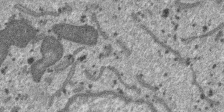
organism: Human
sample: Lung epithelial cells infected with SARS-CoV-2